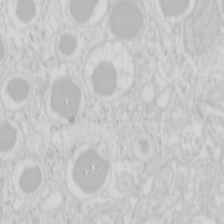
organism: Mouse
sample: Pancreas